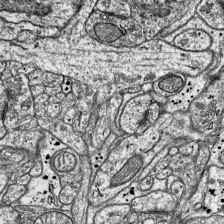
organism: Mouse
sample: Visual Cortex